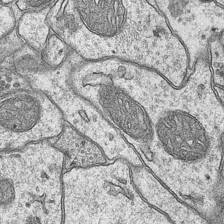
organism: Mouse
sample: CA1 Hippocampus